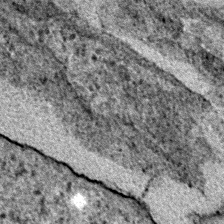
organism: E. coli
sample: E. Coli Bacteria